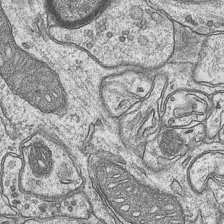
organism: Mouse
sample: CA1 Hippocampus